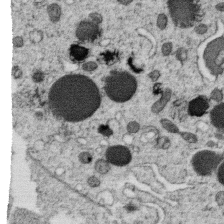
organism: C. elegans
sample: C. elegans oocyte; sperm cells